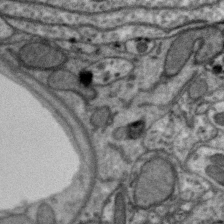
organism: Zebra finch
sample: Brain